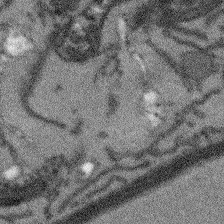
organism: Arabidopsis thaliana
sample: Root tip